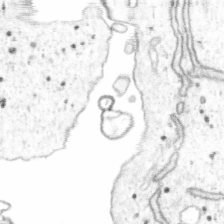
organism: Human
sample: HeLa cells